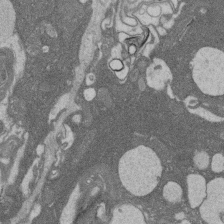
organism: Rat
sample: Salivary granule